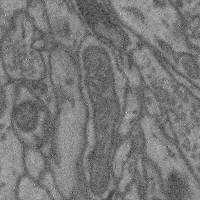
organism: Mouse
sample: Cerebral cortex